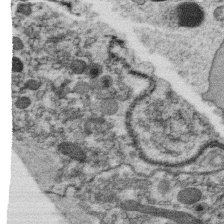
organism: C. elegans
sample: C. elegans oocyte; sperm cells